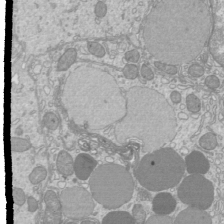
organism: Mouse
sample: Cilia; mouse epididymis